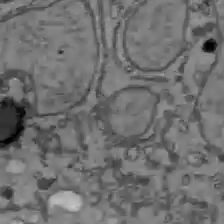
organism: C57BL Mouse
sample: Liver